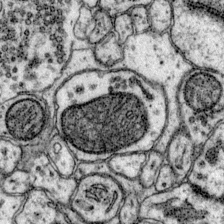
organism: Mouse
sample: Primary visual cortex